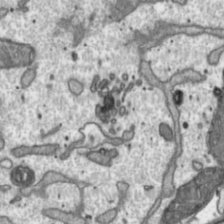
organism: Toxoplasma gondii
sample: Parasites in a vacuole inside a host cell